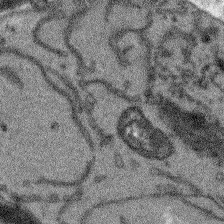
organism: Arabidopsis thaliana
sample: Root tip